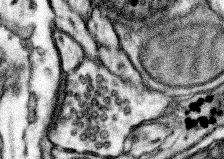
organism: Mouse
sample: Somatosensory cortex neuropil